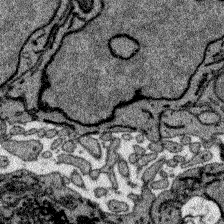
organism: Zebrafish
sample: Larval olfactory bulb